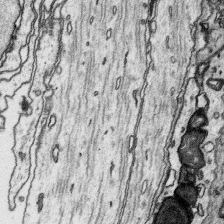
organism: Platynereis dumerilii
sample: Parapodia